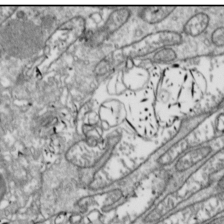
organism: Drosophila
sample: Cell division; meiosis; drosophila spermatocytes